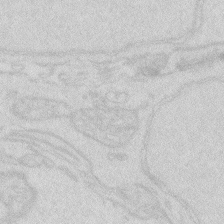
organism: Zebrafish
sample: Macrophage